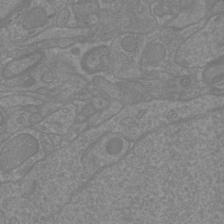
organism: Mouse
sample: Cortical neurons